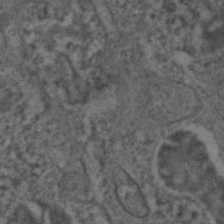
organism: C. elegans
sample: C. elegans embryo